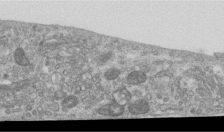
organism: Human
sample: Centriole in RPE cells